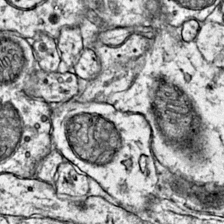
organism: Mouse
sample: Primary visual cortex